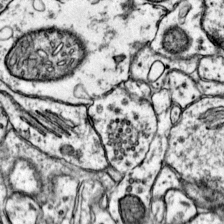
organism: Mouse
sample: Primary visual cortex